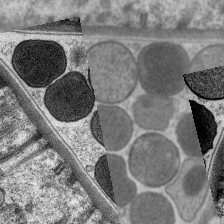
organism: C. elegans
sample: Pharynx